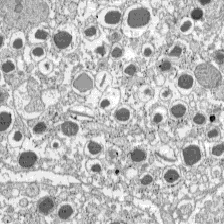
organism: C57BL Mouse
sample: Pancreatic islet